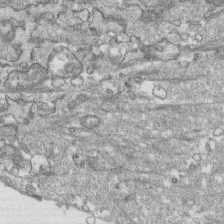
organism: Human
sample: CRL-1474